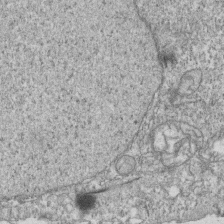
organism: Human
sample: HeLa cell HIV synapse